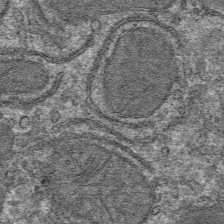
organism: Mouse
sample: Mouse hepatocytes